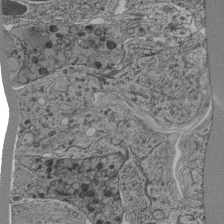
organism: C. elegans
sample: C. elegans pharynx